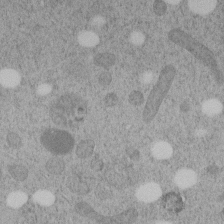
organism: C. elegans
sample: C. elegans embryo early stage